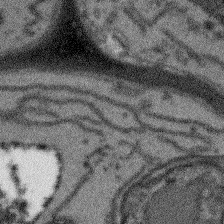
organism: Arabidopsis thaliana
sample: Root tip